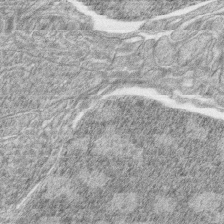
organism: Zebrafish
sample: synaptic ribbons in rod cells and cone cells